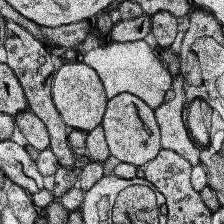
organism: Human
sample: Temporal Lobe